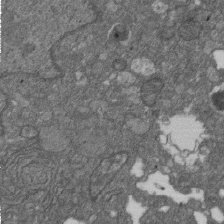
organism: Drosophila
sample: Nephrocyte